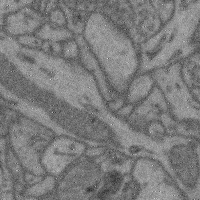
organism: Mouse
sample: Cerebral cortex